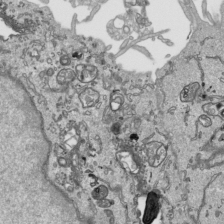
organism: Human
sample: Mitochondria in HCT116 cells